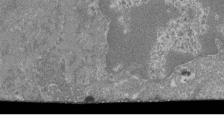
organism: Mouse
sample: Glomerulus